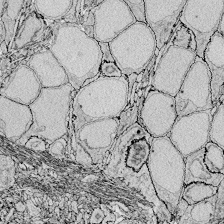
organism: Zebrafish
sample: Whole-Brain